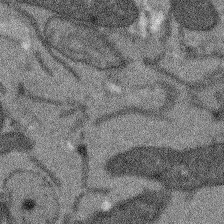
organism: Arabidopsis thaliana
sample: Root tip